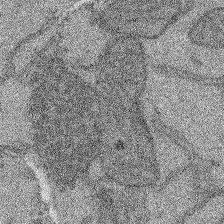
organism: Human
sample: HeLa cells